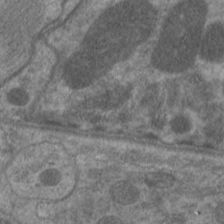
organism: C. elegans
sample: Pharynx